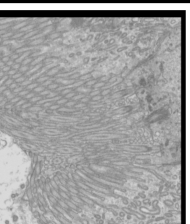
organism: Mouse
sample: Cilia; mouse epididymis